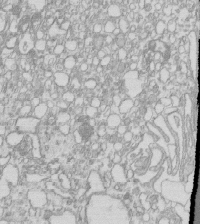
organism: Mouse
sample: Macrophages